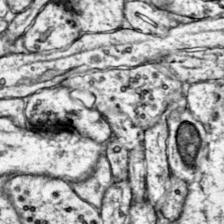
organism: Mouse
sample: Primary visual cortex